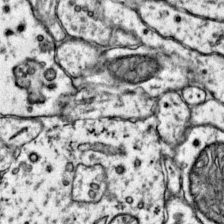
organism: Mouse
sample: Primary visual cortex